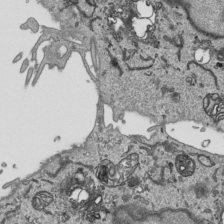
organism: Human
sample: Mitochondria in HCT116 cells